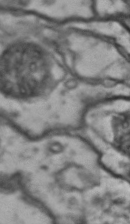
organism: Drosophila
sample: Brain